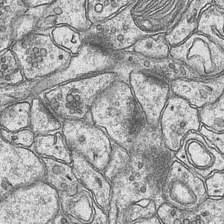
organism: Mouse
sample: CA1 Hippocampus